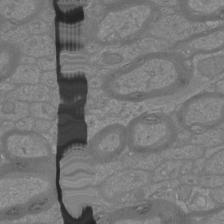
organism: Mouse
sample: Cortical neurons